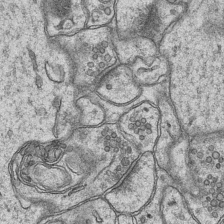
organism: Mouse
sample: CA1 Hippocampus